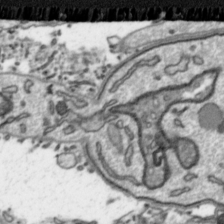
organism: Toxoplasma gondii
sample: Parasites in a vacuole inside a host cell